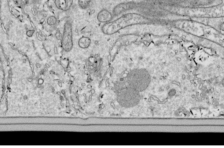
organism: Drosophila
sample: Cell division; meiosis; drosophila spermatocytes